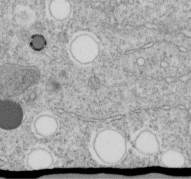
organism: C. elegans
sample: C. elegans embryo early stage